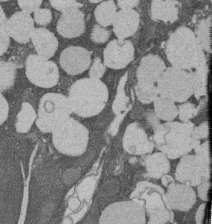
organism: Rat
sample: Salivary granule